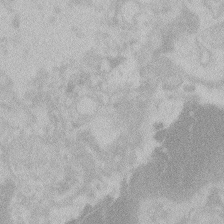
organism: Zebrafish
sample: Macrophage infected with Toxoplasma gondii